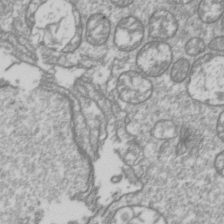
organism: Drosophila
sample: Cell division; meiosis; drosophila spermatocytes